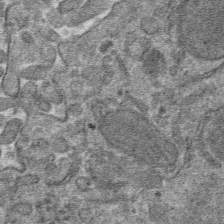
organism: Mouse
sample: Mouse hepatocytes